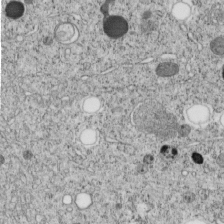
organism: C. elegans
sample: C. elegans embryo early stage